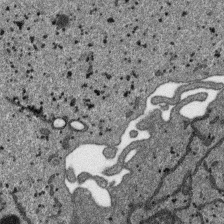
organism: Human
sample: Lung epithelial cells infected with SARS-CoV-2